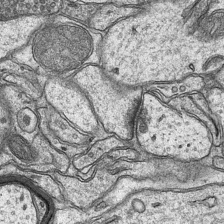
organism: Mouse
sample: CA1 Hippocampus